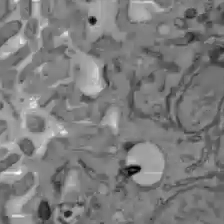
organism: C57BL Mouse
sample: Liver